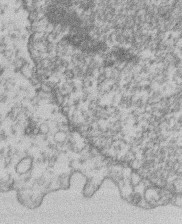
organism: Mouse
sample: T cell stromal cell synapse